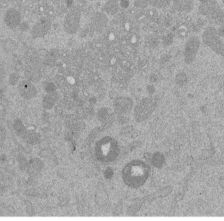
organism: Mouse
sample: Dividing mouse embryo 1 cell stage